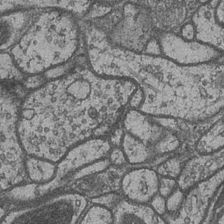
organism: Drosophila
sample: Optic medulla